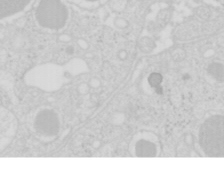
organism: Mouse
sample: Pancreas